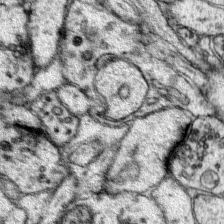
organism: Mouse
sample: Primary visual cortex